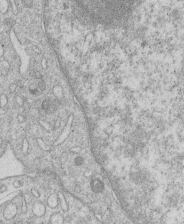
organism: Human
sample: Macrophage cells